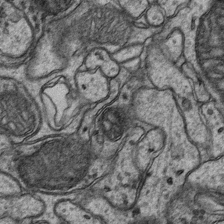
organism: Mouse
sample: CA1 Hippocampus